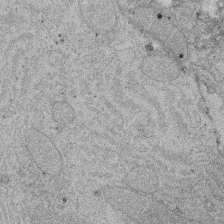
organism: Rat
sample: Salivary granule